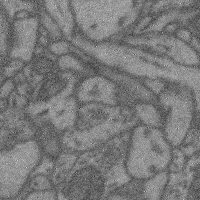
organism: Mouse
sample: Cerebral cortex